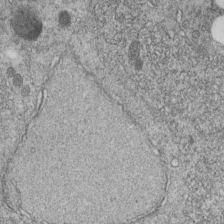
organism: C. elegans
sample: C. elegans embryo early stage